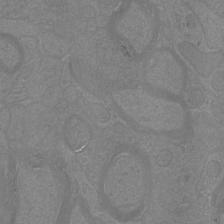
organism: Mouse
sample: Cortical neurons